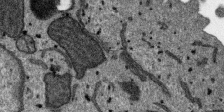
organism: Human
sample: Lung epithelial cells, uninfected (mock) control